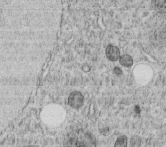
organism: C. elegans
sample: C. elegans embryo early stage